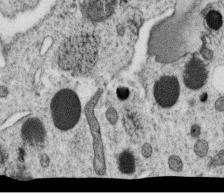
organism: C. elegans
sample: C. elegans oocyte; sperm cells